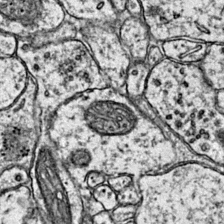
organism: Mouse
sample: Primary visual cortex